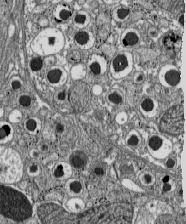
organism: C57BL Mouse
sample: Pancreatic islet